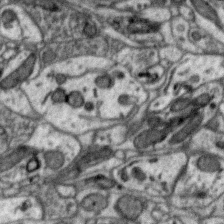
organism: Zebra finch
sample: Brain